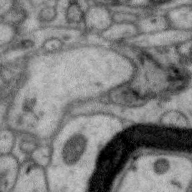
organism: Zebra finch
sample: Brain